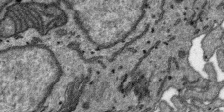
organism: Human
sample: Lung epithelial cells, uninfected (mock) control